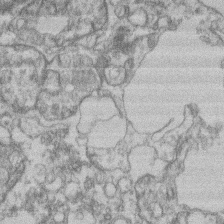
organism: Mouse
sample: T cell stromal cell synapse